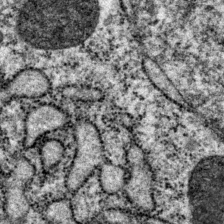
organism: P. pacificus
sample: Pharynx